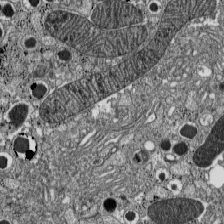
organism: C57BL Mouse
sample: Pancreatic islet